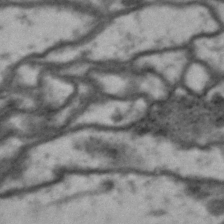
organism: Drosophila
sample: Brain